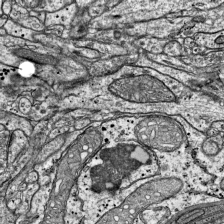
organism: Mouse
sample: Visual Cortex